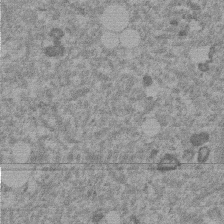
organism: Mouse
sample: Dividing mouse embryo 1 cell stage